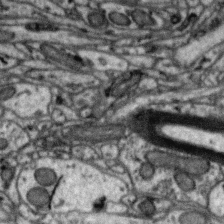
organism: Zebra finch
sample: Brain